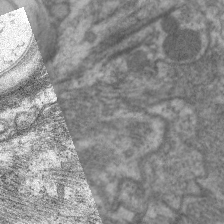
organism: C. elegans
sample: Pharynx